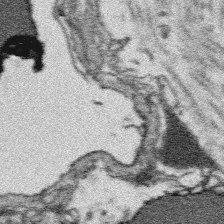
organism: Platynereis dumerilii